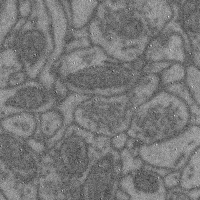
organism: Mouse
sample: Cerebral cortex